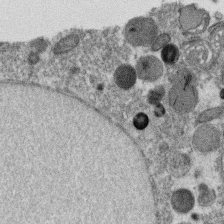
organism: C. elegans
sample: C. elegans oocyte; sperm cells